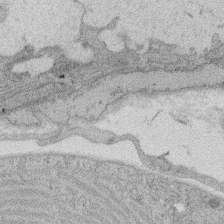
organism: Rat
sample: Salivary granule